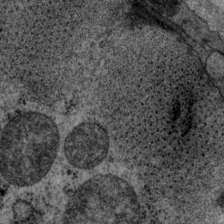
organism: P. pacificus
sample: Pharynx